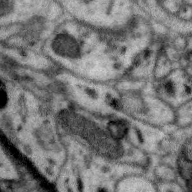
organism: Zebra finch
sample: Brain